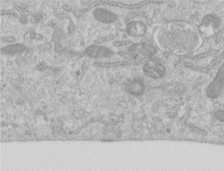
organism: Human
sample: Centriole in RPE cells